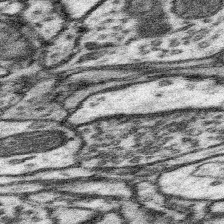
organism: Mouse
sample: Somatosensory cortex neuropil